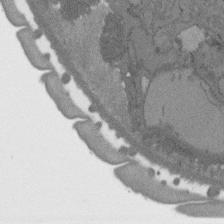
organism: C. elegans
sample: AFD neurons C. elegans